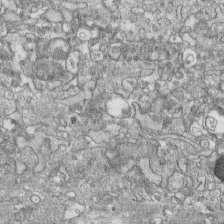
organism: Human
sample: CRL-1474